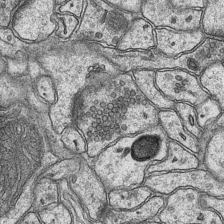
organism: Mouse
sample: CA1 Hippocampus